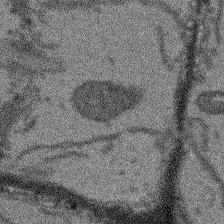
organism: Arabidopsis thaliana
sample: Root tip